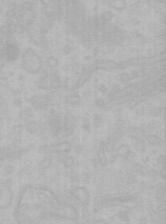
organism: Mouse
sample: Choroid plexus